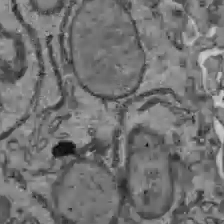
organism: C57BL Mouse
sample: Liver